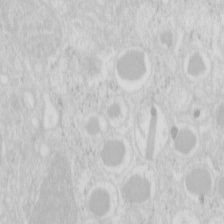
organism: Mouse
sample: Pancreas